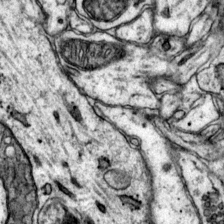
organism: Mouse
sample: Primary visual cortex